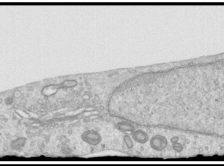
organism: Human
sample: Centriole in RPE cells